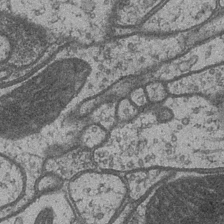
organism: Drosophila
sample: Optic medulla